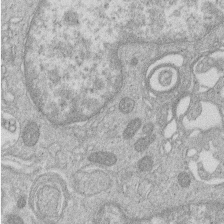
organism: Human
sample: Macrophage cells